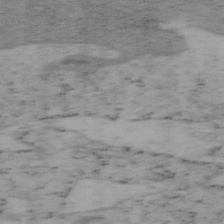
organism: Mouse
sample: OT-I killer T cells with ID8 ovarian cancer cells